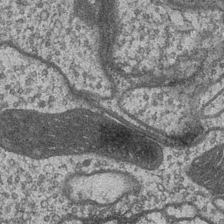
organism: Drosophila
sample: Optic medulla